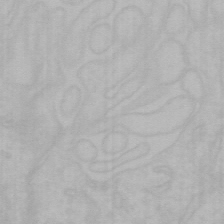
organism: Mouse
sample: Choroid plexus